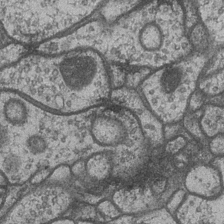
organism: Drosophila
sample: Optic medulla